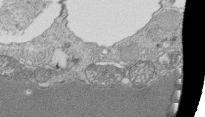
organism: Tetrahymena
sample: Cilia in tetrahymena